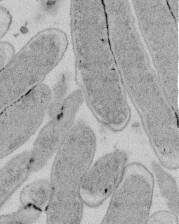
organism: E. coli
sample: Bacterial nucleoid